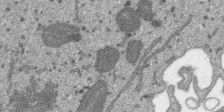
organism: Human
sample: Lung epithelial cells infected with SARS-CoV-2